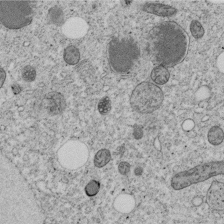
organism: C. elegans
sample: C. elegans embryo early stage